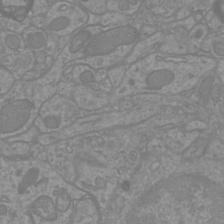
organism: Mouse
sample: Cortical neurons